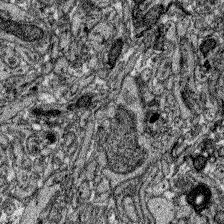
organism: Zebrafish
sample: Larval olfactory bulb